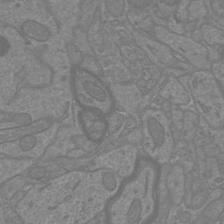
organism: Mouse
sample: Cortical neurons